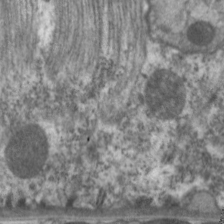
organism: C. elegans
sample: Pharynx